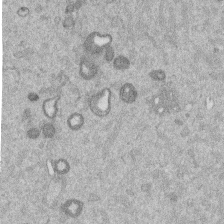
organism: Mouse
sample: Dividing mouse embryo 1 cell stage